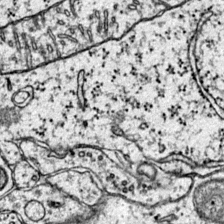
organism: Mouse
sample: Primary visual cortex